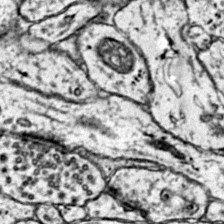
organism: Mouse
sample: Primary visual cortex